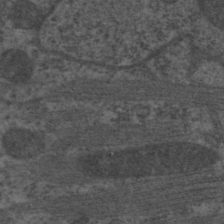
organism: C. elegans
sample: Pharynx